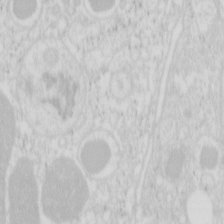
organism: Mouse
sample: Pancreas